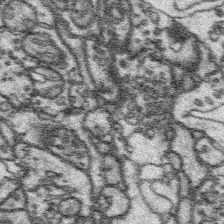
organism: Platynereis dumerilii